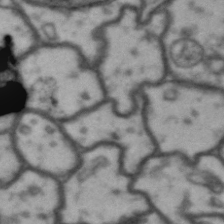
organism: Drosophila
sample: Brain